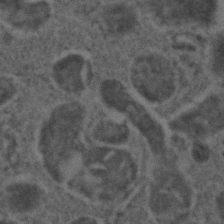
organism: C. elegans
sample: C. elegans embryo